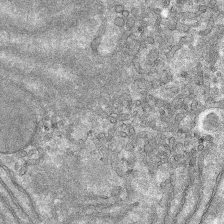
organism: Mouse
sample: Mouse hepatocytes